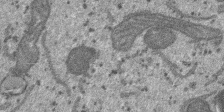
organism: Human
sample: Lung epithelial cells infected with SARS-CoV-2